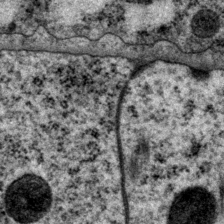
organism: P. pacificus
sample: Pharynx